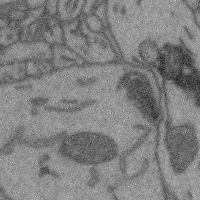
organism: Mouse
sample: Cerebral cortex